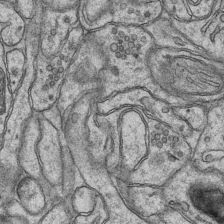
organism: Mouse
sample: CA1 Hippocampus